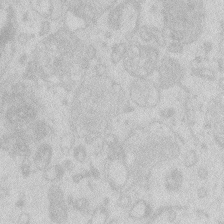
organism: Zebrafish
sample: Macrophage